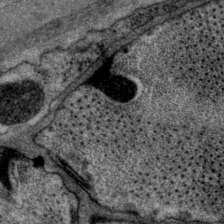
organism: P. pacificus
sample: Pharynx